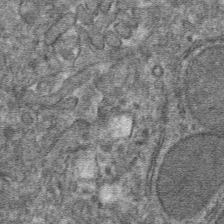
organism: Mouse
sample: Mouse hepatocytes